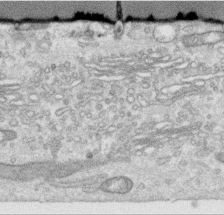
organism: Human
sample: Centriole in RPE cells